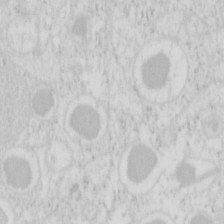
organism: Mouse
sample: Pancreas